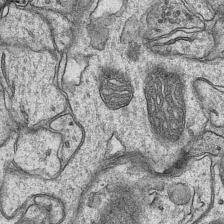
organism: Mouse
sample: CA1 Hippocampus